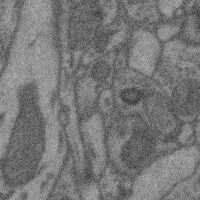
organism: Mouse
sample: Cerebral cortex